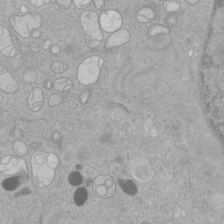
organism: Human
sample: Mitochondria in HCT116 cells